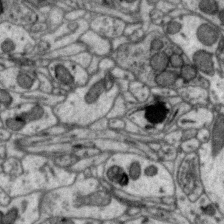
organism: Zebra finch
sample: Brain